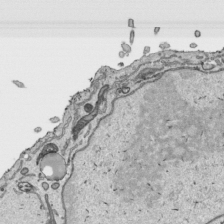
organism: Human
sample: Mitochondria in HCT116 cells